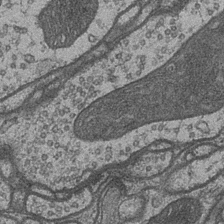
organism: Drosophila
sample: Optic medulla